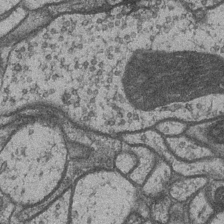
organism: Drosophila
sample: Optic medulla